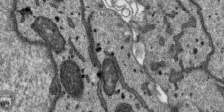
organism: Human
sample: Lung epithelial cells, uninfected (mock) control